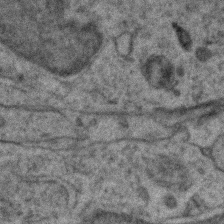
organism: Zebrafish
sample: Zebrafish embryo